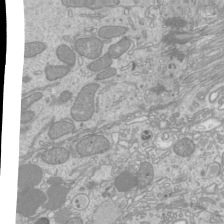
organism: Mouse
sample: Cilia; mouse epididymis